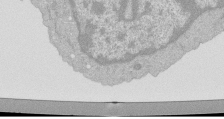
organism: Mouse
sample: Activated Pmel transgenic CD8+ T Cells